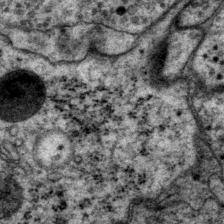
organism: P. pacificus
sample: Pharynx